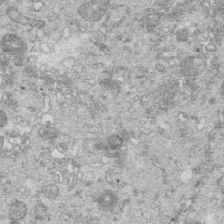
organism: Mouse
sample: Multiciliated cells